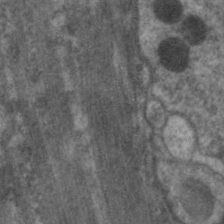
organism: C. elegans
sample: Pharynx